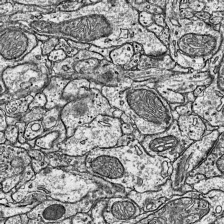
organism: Mouse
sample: Visual Cortex